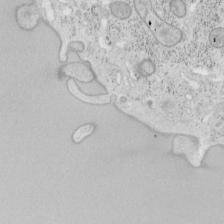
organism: Mouse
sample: OT-I killer T cells with ID8 ovarian cancer cells